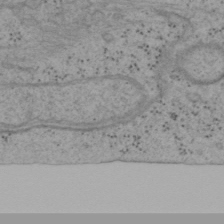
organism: Human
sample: HeLa cells